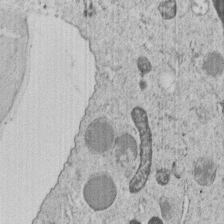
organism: C. elegans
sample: C. elegans embryo early stage